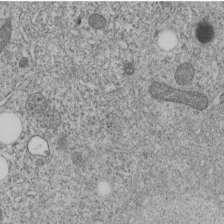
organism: C. elegans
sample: C. elegans embryo early stage